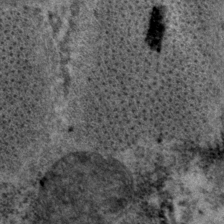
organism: P. pacificus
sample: Pharynx